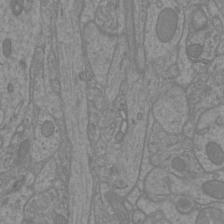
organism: Mouse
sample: Cortical neurons